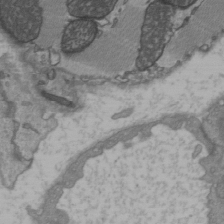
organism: C57BL Mouse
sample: Heart